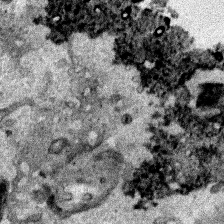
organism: Human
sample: Mitochondria in HCT116 cells